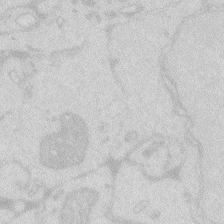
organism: Zebrafish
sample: Macrophage